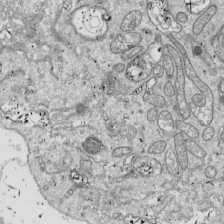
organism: Drosophila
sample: Cell division; meiosis; drosophila spermatocytes